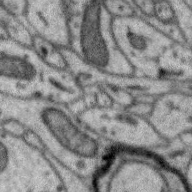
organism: Zebra finch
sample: Brain